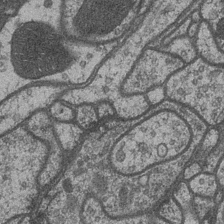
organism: Drosophila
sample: Optic medulla